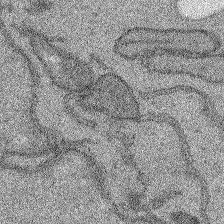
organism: Human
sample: HeLa cells